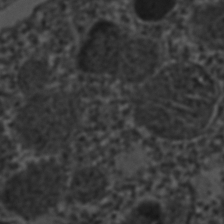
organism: C. elegans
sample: C. elegans embryo